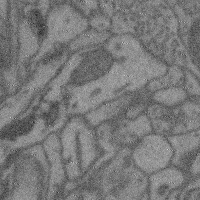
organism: Mouse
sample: Cerebral cortex